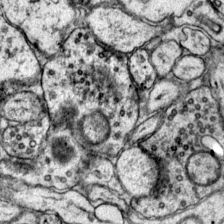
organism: Mouse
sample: Primary visual cortex